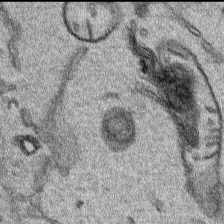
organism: Human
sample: Mitochondria in HCT116 cells